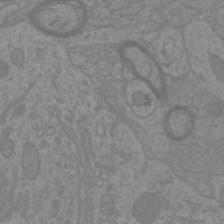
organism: Mouse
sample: Cortical neurons